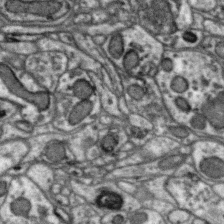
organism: Zebra finch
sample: Brain